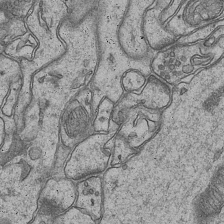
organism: Mouse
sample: CA1 Hippocampus